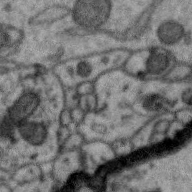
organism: Zebra finch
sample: Brain